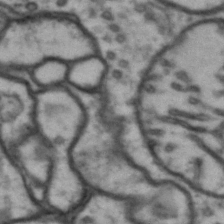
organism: Drosophila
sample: Brain